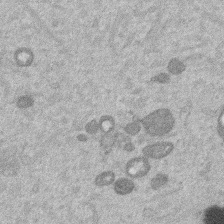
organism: Mouse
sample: Dividing mouse embryo 1 cell stage